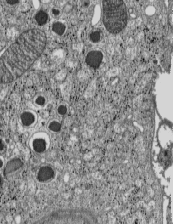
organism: C57BL Mouse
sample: Pancreatic islet